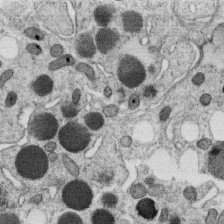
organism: C. elegans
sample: C. elegans oocyte; sperm cells